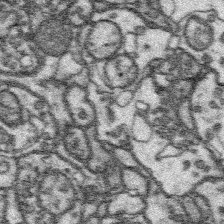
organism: Platynereis dumerilii